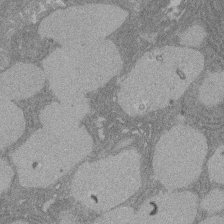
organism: Rat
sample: Salivary granule